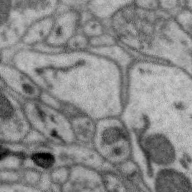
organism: Zebra finch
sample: Brain